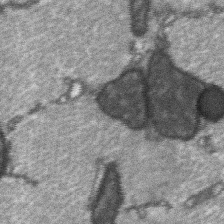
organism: C57BL Mouse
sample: Soleus